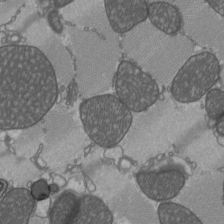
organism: C57BL Mouse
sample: Heart